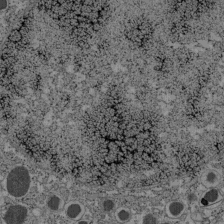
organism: C57BL Mouse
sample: Pancreatic islet